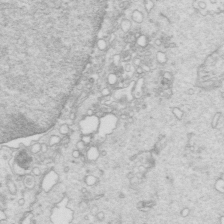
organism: Mouse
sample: Multiciliated cells